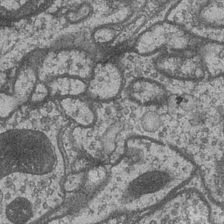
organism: Drosophila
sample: Optic medulla